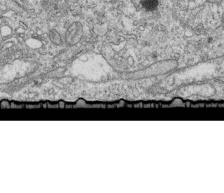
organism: Human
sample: HeLa cell HIV synapse